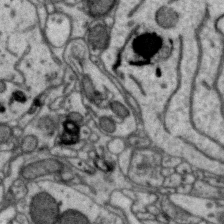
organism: Zebra finch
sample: Brain